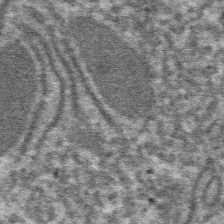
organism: Mouse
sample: Mouse hepatocytes